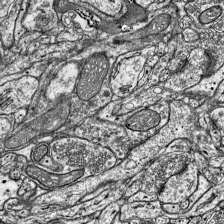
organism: Mouse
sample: Visual Cortex